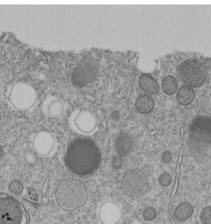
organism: C. elegans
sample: C. elegans embryo early stage